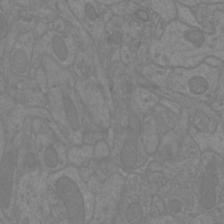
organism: Mouse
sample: Cortical neurons